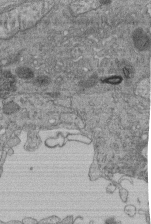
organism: Human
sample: Retinal organoid Rod and Cone cells